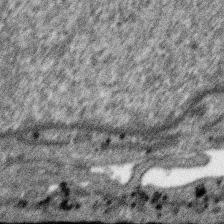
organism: Human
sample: Lung epithelial cells infected with SARS-CoV-2